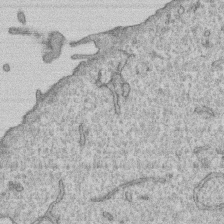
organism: Human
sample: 1205lu cells